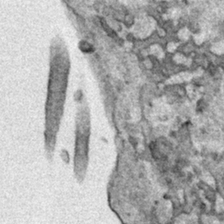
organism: Human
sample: Mitochondria in HCT116 cells